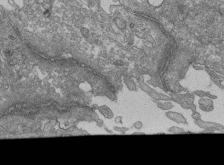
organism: Human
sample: Retinal organoid Rod and Cone cells